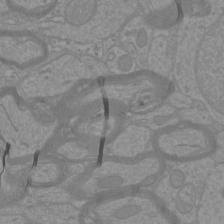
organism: Mouse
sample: Cortical neurons